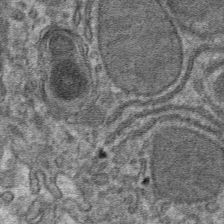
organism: Mouse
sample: Mouse hepatocytes